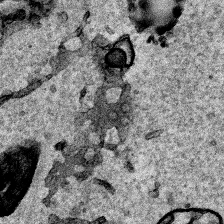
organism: Human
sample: Mitochondria in HCT116 cells